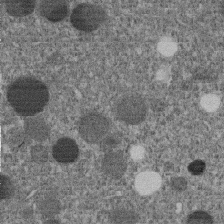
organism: C. elegans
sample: C. elegans embryo early stage